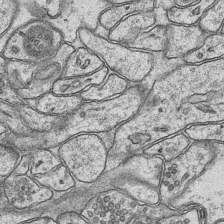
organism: Mouse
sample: CA1 Hippocampus